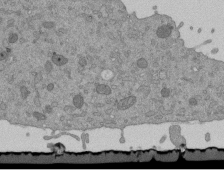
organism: Mouse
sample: ED-1 cell nuclei; centrioles